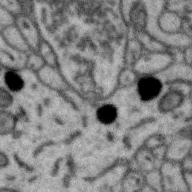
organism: Zebra finch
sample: Brain